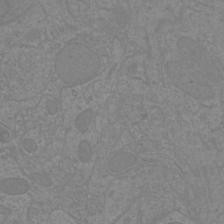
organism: Mouse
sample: Cortical neurons